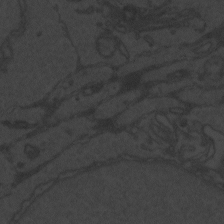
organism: Zebrafish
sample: Macrophage infected with Toxoplasma gondii